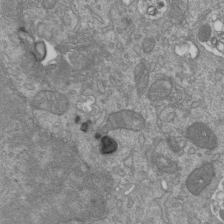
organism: Mouse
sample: ED-1 cell nuclei; centrioles